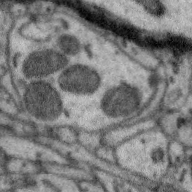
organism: Zebra finch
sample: Brain